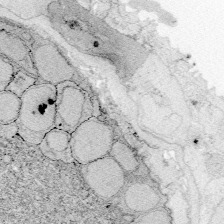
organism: Zebrafish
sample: Whole-Brain